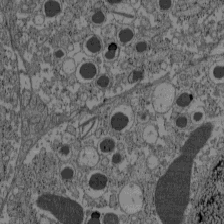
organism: C57BL Mouse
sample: Pancreatic islet